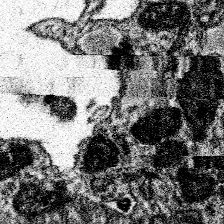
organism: Spongilla lacustris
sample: Neuroid cell